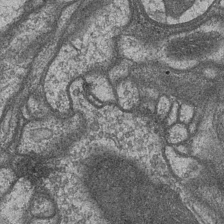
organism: Drosophila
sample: Optic medulla